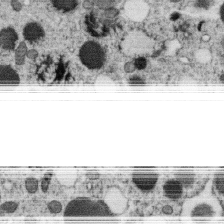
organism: C. elegans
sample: C. elegans oocyte; sperm cells